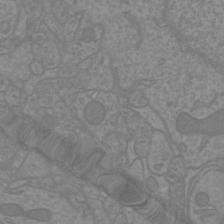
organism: Mouse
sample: Cortical neurons